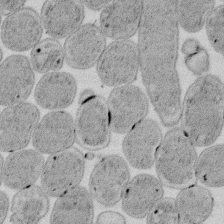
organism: E. coli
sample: Bacterial nucleoid